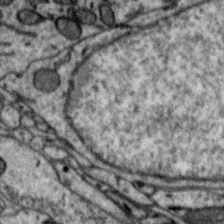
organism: Zebra finch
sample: Brain